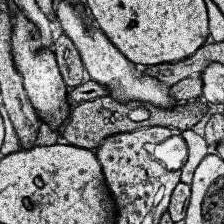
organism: Human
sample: Temporal Lobe